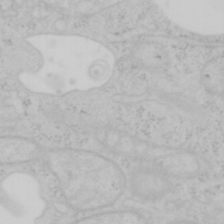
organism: Mouse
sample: OT-I killer T cells with ID8 ovarian cancer cells